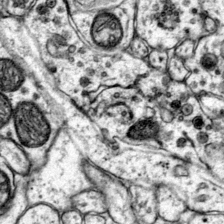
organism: Mouse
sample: Primary visual cortex